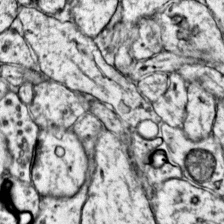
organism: Mouse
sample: Primary visual cortex